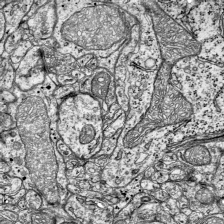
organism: Mouse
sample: Visual Cortex